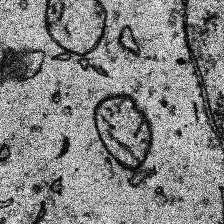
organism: Human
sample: Temporal Lobe